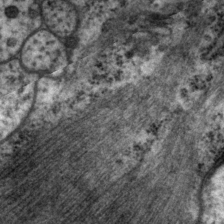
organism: P. pacificus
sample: Pharynx